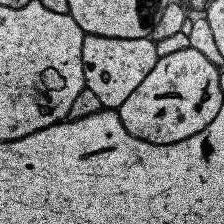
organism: Human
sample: Temporal Lobe